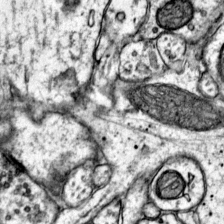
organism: Mouse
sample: Primary visual cortex